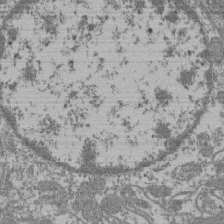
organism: Mouse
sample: Glomerulus